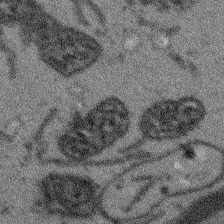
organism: Arabidopsis thaliana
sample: Root tip